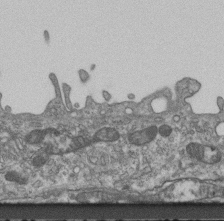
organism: Mouse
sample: Centriole in ependymal cells